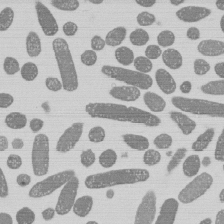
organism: E. coli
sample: Bacterial nucleoid